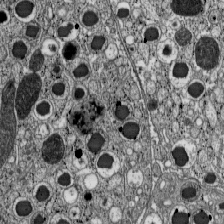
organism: C57BL Mouse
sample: Pancreatic islet